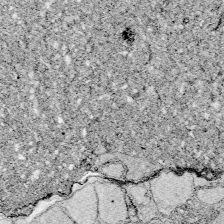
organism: Zebrafish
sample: Whole-Brain